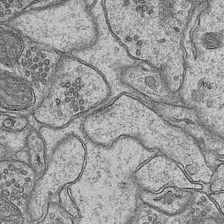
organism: Mouse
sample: CA1 Hippocampus